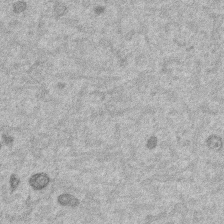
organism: Mouse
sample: Dividing mouse embryo 1 cell stage